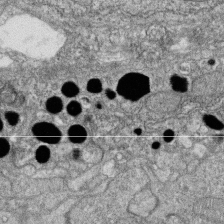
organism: Zebrafish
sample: Cilia; retinal pigment epithelium